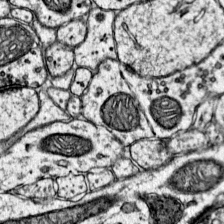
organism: Mouse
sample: Primary visual cortex